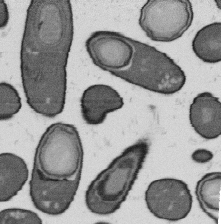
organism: B. subtilis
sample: Bacterial spore